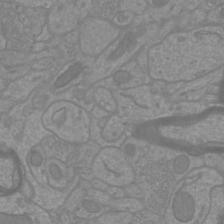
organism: Mouse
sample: Cortical neurons